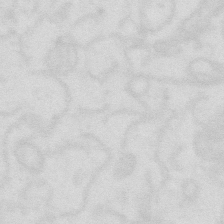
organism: Human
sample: HeLa cells